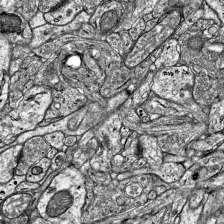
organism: Mouse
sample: Visual Cortex